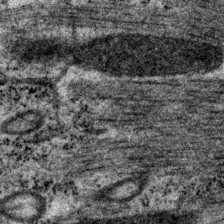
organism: P. pacificus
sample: Pharynx